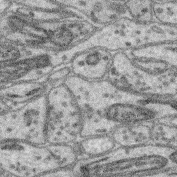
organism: Mouse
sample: Retina